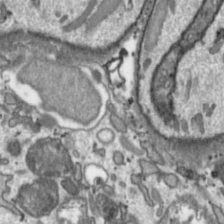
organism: Toxoplasma gondii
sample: Parasites in a vacuole inside a host cell